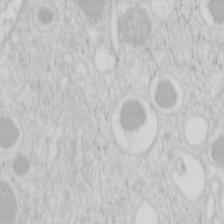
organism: Mouse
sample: Pancreas